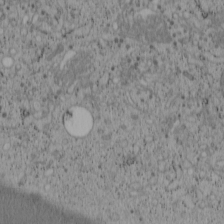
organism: African green monkey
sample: COS-7 cells